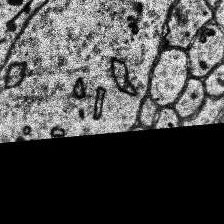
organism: Human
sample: Temporal Lobe